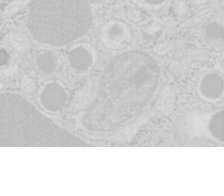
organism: Mouse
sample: Pancreas